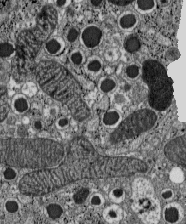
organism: C57BL Mouse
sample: Pancreatic islet